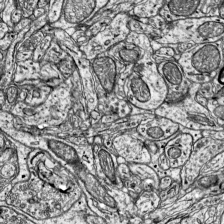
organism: Mouse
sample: Visual Cortex